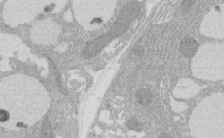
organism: Rat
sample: Salivary granule